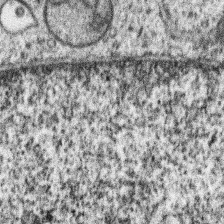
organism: Human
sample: HeLa cells